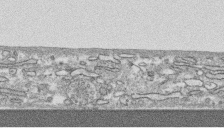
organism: Human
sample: CRL-1474